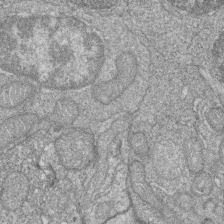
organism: Zebrafish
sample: Cilia; retinal pigment epithelium